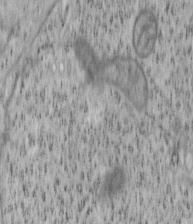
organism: Human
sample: HeLa cells